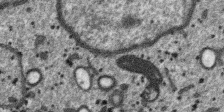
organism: Human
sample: Lung epithelial cells infected with SARS-CoV-2